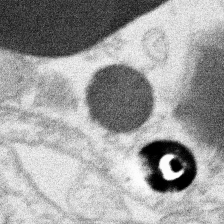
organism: Xenopus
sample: Cilia; centrioles in frog embryo cells